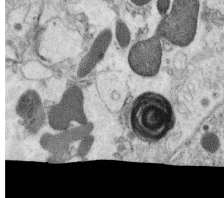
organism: C. elegans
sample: C. elegans oocyte; sperm cells